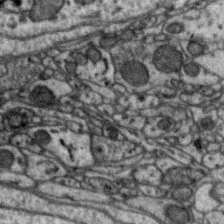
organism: Zebra finch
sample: Brain